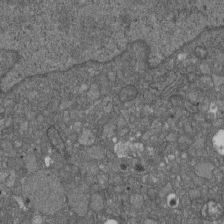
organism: Drosophila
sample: Nephrocyte